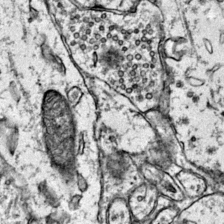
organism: Mouse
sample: Primary visual cortex